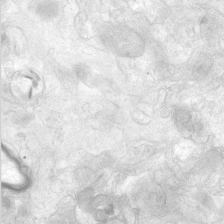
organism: Human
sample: Neocortex